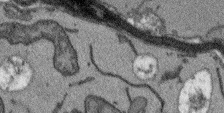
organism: Arabidopsis thaliana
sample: Root tip